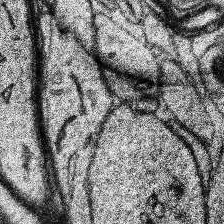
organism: Human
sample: Temporal Lobe